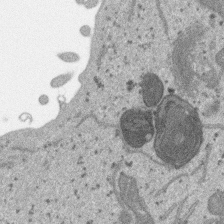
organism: Human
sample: Lung epithelial cells infected with SARS-CoV-2